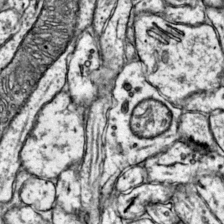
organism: Mouse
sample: Primary visual cortex